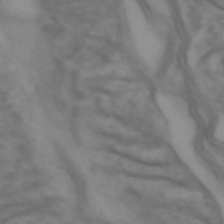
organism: Zebrafish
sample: Zebrafish embryo